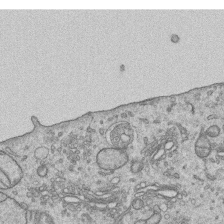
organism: Human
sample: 1205lu cells